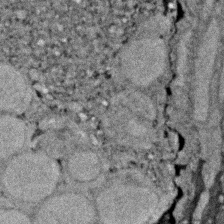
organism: Zebrafish